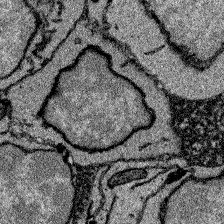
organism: Zebrafish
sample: Larval olfactory bulb